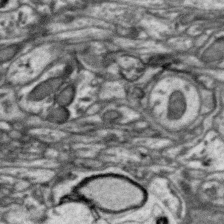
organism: Zebra finch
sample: Brain